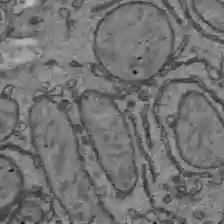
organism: C57BL Mouse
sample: Liver